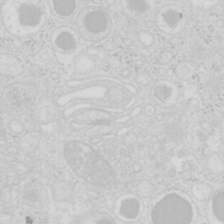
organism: Mouse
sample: Pancreas